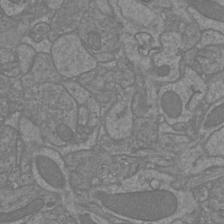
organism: Mouse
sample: Cortical neurons